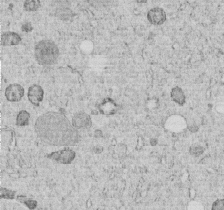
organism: C. elegans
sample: C. elegans embryo early stage